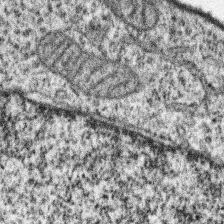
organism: Human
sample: HeLa cells